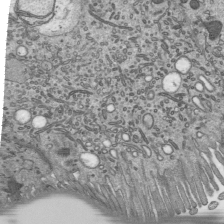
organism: Mouse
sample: Mouse epididymis efferent ductule cilia